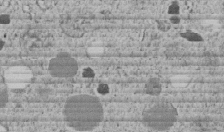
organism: C. elegans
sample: C. elegans embryo early stage